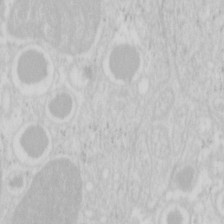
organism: Mouse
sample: Pancreas